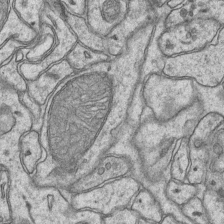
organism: Mouse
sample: CA1 Hippocampus